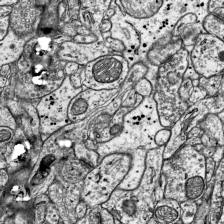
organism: Mouse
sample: Visual Cortex